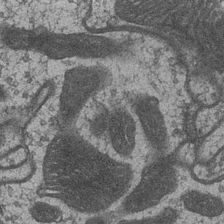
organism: Drosophila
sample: Optic medulla